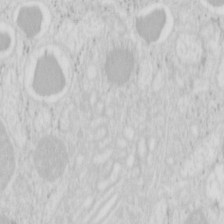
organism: Mouse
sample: Pancreas